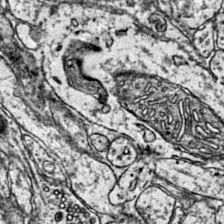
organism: Mouse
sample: Primary visual cortex